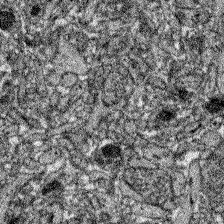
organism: Zebrafish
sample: Larval olfactory bulb